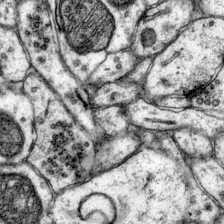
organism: Mouse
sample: Primary visual cortex